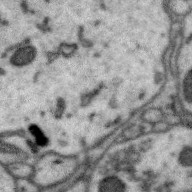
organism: Zebra finch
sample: Brain